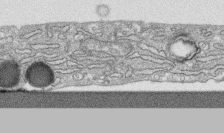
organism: Human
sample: CRL-1474